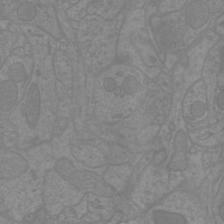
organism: Mouse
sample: Cortical neurons